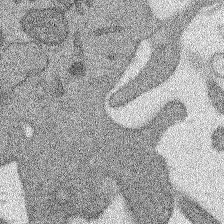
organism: Human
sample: HeLa cells